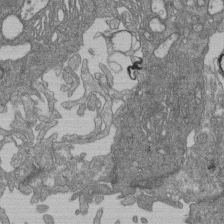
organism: Human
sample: Retinal organoid Rod and Cone cells